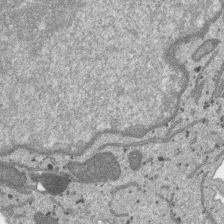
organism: Human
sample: Lung epithelial cells infected with SARS-CoV-2